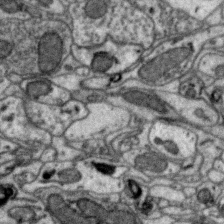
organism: Zebra finch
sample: Brain